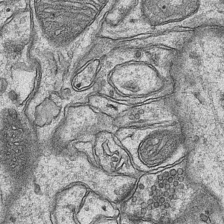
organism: Mouse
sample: CA1 Hippocampus